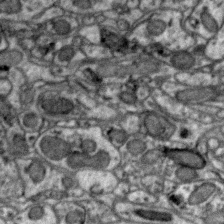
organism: Zebra finch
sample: Brain